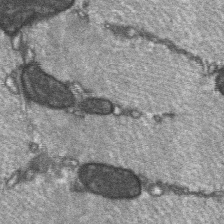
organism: C57BL Mouse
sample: Soleus